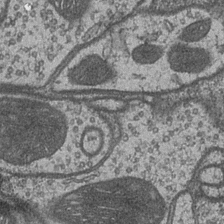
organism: Drosophila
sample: Optic medulla